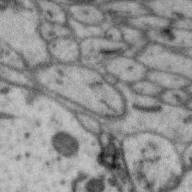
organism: Zebra finch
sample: Brain